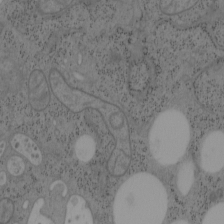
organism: Mouse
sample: OT-I killer T cells with ID8 ovarian cancer cells